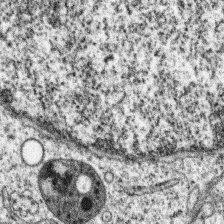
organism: Human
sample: HeLa cells